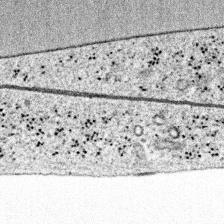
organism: Human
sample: HeLa cells